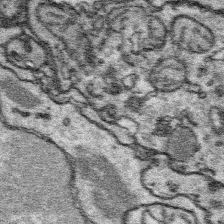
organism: Platynereis dumerilii